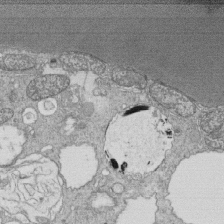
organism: Tetrahymena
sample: Cilia in tetrahymena